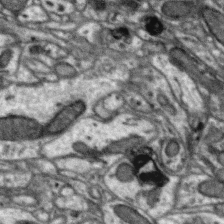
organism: Zebra finch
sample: Brain